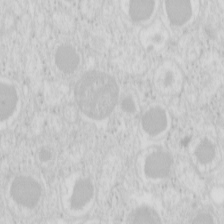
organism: Mouse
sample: Pancreas